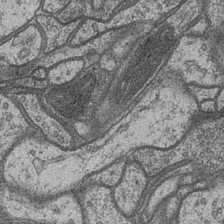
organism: Drosophila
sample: Optic medulla